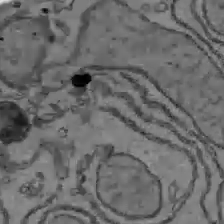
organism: C57BL Mouse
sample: Liver